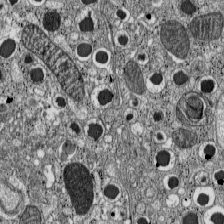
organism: C57BL Mouse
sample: Pancreatic islet